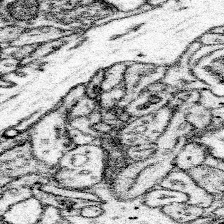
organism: Mouse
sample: Somatosensory cortex neuropil